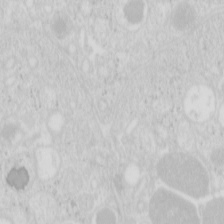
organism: Mouse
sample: Pancreas